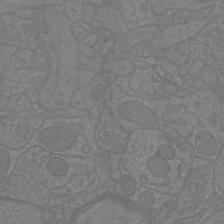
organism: Mouse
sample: Cortical neurons